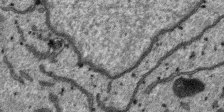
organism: Human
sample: Lung epithelial cells, uninfected (mock) control